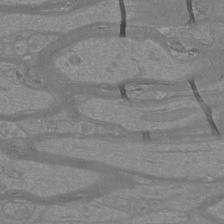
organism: Mouse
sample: Cortical neurons